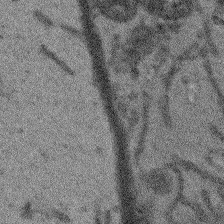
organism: Arabidopsis thaliana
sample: Root tip